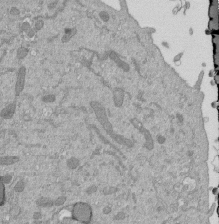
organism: Mouse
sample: ED-1 cell nuclei; centrioles